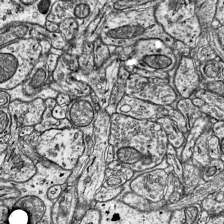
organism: Mouse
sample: Visual Cortex